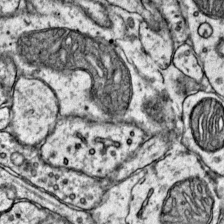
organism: Mouse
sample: Primary visual cortex